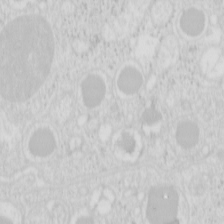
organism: Mouse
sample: Pancreas